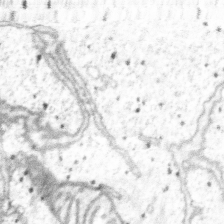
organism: Human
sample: HeLa cells